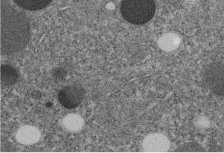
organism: C. elegans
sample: C. elegans embryo early stage